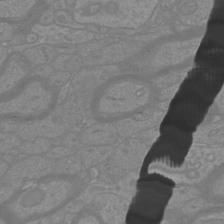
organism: Mouse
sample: Cortical neurons